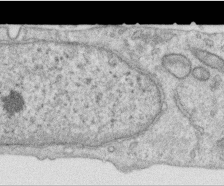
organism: Human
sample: Centriole in RPE cells